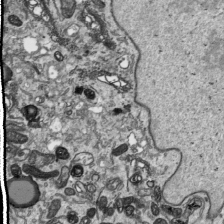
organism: Human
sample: Mitochondria in HCT116 cells